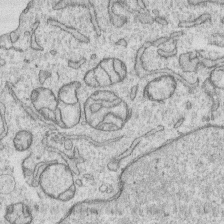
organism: Human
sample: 1205lu cells